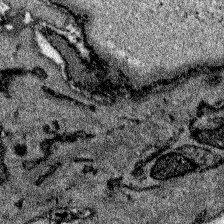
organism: Zebrafish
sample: Larval olfactory bulb